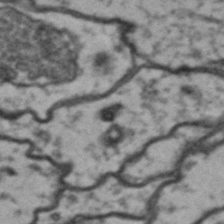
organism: Drosophila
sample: Brain